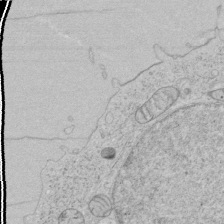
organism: Human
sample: Mitochondria in HCT116 cells